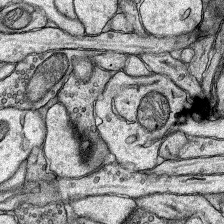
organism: Rat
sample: Hippocampus